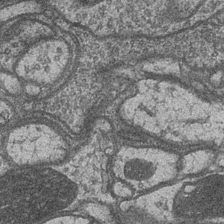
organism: Drosophila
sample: Optic medulla